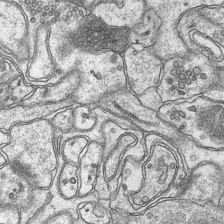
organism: Mouse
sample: CA1 Hippocampus